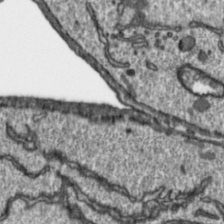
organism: Toxoplasma gondii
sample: Parasites in a vacuole inside a host cell